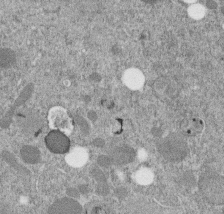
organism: C. elegans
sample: C. elegans embryo early stage